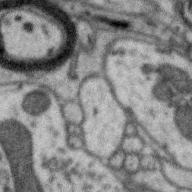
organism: Zebra finch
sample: Brain